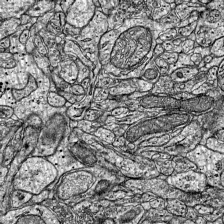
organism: Mouse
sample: Visual Cortex